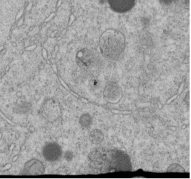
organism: C. elegans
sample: C. elegans embryo early stage